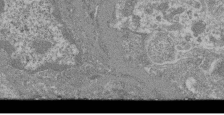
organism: Mouse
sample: Glomerulus